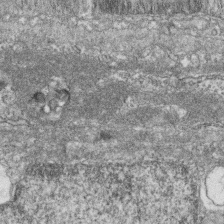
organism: Zebrafish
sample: Cilia; retinal pigment epithelium